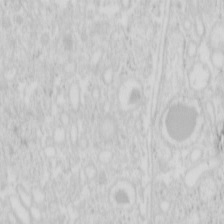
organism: Mouse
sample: Pancreas